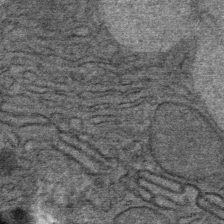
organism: Mouse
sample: Mouse Salivary gland